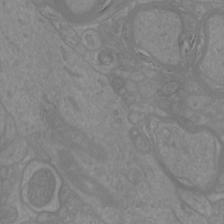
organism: Mouse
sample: Cortical neurons